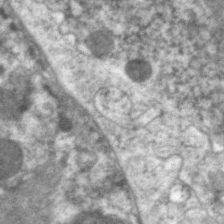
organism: C. elegans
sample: Pharynx